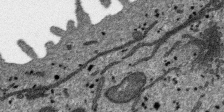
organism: Human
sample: Lung epithelial cells, uninfected (mock) control